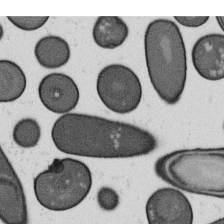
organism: B. subtilis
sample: Bacterial spore